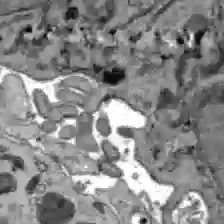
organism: C57BL Mouse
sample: Liver